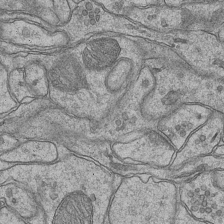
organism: Mouse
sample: CA1 Hippocampus